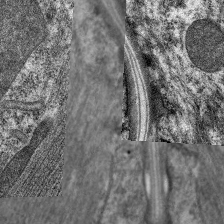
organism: C. elegans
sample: Pharynx